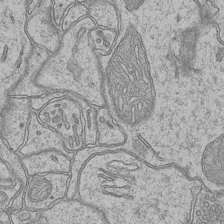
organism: Mouse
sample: CA1 Hippocampus